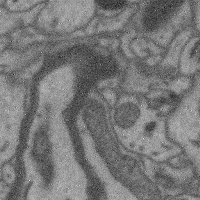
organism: Mouse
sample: Cerebral cortex